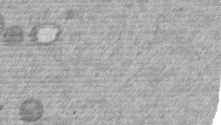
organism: Mouse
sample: Dividing mouse embryo 1 cell stage